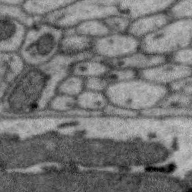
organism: Zebra finch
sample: Brain